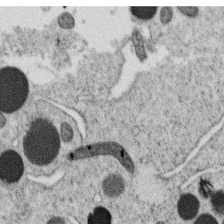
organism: C. elegans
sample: C. elegans oocyte; sperm cells